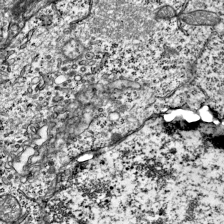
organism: Mouse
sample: Visual Cortex